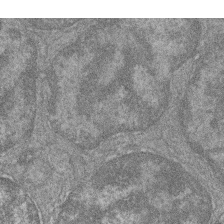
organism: Zebrafish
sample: Cilia; retinal pigment epithelium